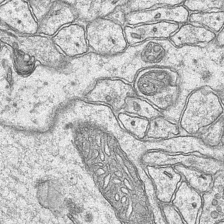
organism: Mouse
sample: CA1 Hippocampus